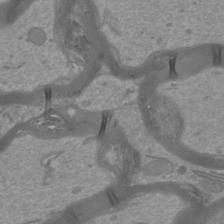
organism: Mouse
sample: Cortical neurons